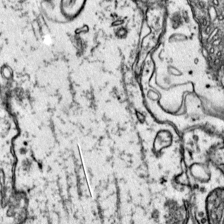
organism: Mouse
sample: Primary visual cortex